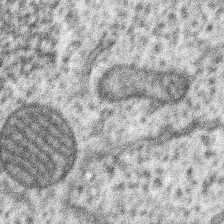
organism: Human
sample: HeLa cells